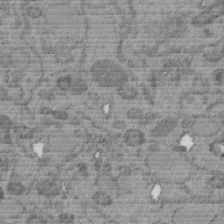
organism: C. elegans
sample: C. elegans embryo early stage